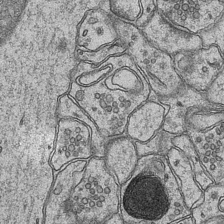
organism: Mouse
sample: CA1 Hippocampus